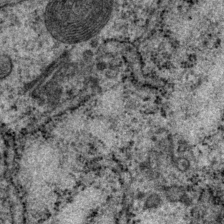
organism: P. pacificus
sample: Pharynx